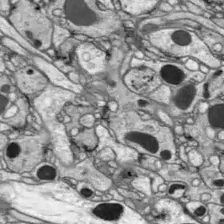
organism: Drosophila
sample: Optic lobe